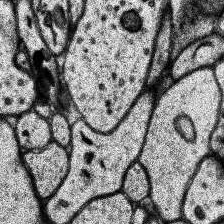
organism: Human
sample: Temporal Lobe